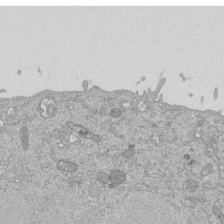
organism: Mouse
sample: ED-1 cell nuclei; centrioles